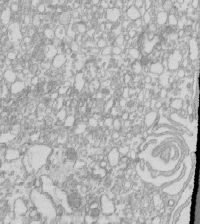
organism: Mouse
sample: Macrophages